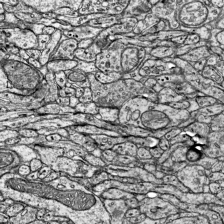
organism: Mouse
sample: Visual Cortex